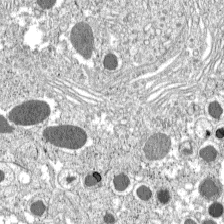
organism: C57BL Mouse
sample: Pancreatic islet